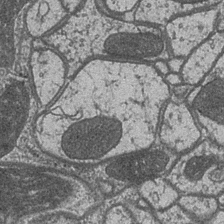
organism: Drosophila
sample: Optic medulla